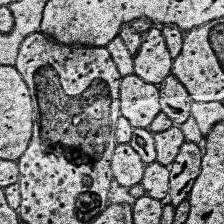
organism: Human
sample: Temporal Lobe